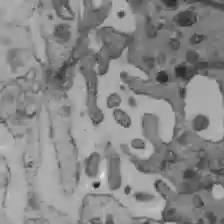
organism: C57BL Mouse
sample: Liver